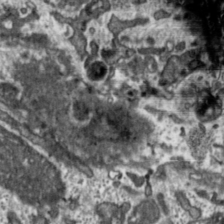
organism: Toxoplasma gondii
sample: Parasites in a vacuole inside a host cell